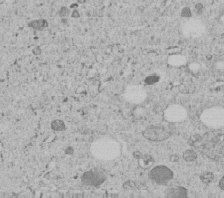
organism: C. elegans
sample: C. elegans embryo early stage